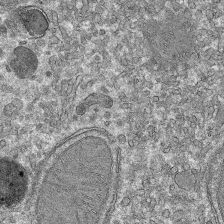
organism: Mouse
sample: Mouse hepatocytes